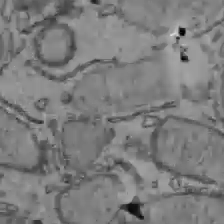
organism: C57BL Mouse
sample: Liver